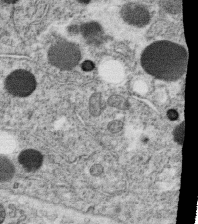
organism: C. elegans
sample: C. elegans oocyte; sperm cells